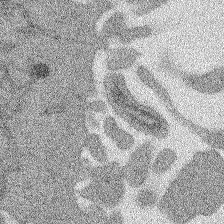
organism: Human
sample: HeLa cells